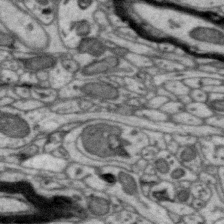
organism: Zebra finch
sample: Brain